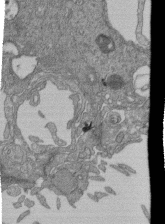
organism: Human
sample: Retinal organoid Rod and Cone cells